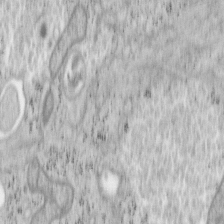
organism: Human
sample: HeLa cells